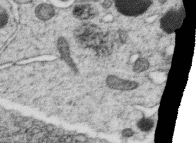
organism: C. elegans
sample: C. elegans oocyte; sperm cells